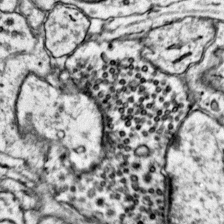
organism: Mouse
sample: Primary visual cortex